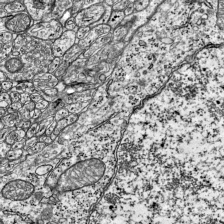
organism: Mouse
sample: Visual Cortex